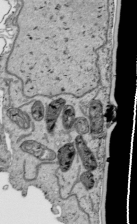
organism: Human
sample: Mitochondria in HCT116 cells